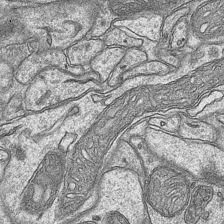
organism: Mouse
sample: CA1 Hippocampus